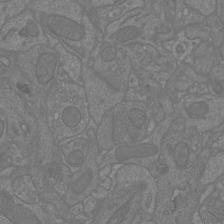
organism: Mouse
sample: Cortical neurons